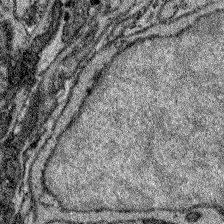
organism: Zebrafish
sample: Larval olfactory bulb